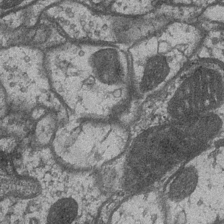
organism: Drosophila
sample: Optic medulla